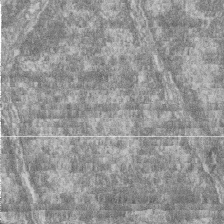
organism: Zebrafish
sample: Cilia; retinal pigment epithelium